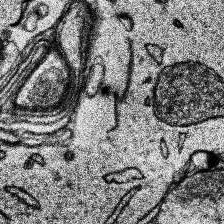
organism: Human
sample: Temporal Lobe